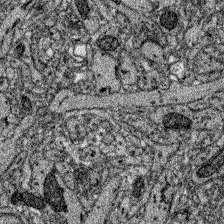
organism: Zebrafish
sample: Larval olfactory bulb